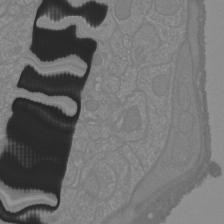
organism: Mouse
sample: Cortical neurons